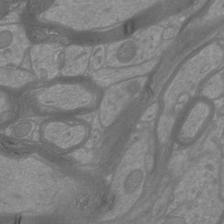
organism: Mouse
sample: Cortical neurons